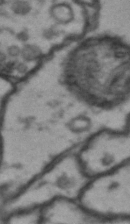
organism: Drosophila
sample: Brain